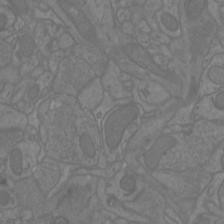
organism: Mouse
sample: Cortical neurons